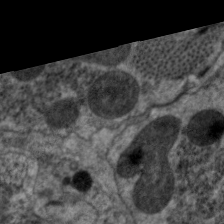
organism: C. elegans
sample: Pharynx